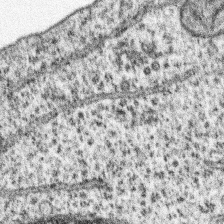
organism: Human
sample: HeLa cells